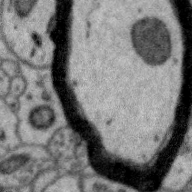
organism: Zebra finch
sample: Brain